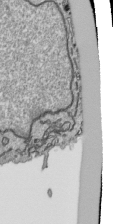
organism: Human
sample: Mitochondria in HCT116 cells